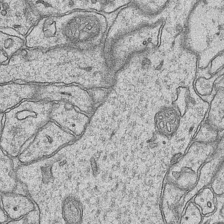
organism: Mouse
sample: CA1 Hippocampus